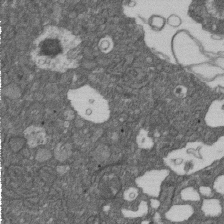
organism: Drosophila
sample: Nephrocyte